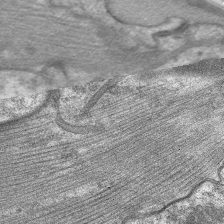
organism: C. elegans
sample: Pharynx